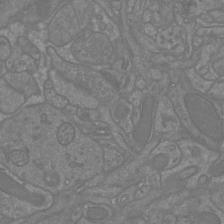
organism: Mouse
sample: Cortical neurons